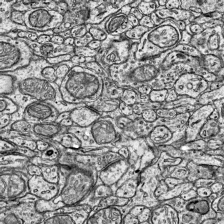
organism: Mouse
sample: Visual Cortex